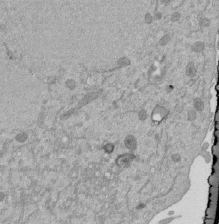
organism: Mouse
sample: ED-1 cell nuclei; centrioles